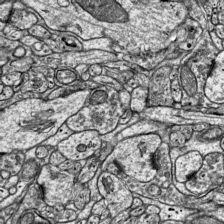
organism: Mouse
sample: Visual Cortex